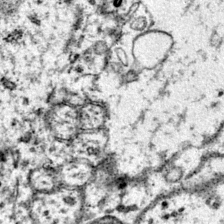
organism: Mouse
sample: Primary visual cortex